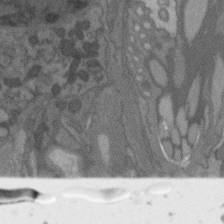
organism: C. elegans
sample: AFD neurons C. elegans